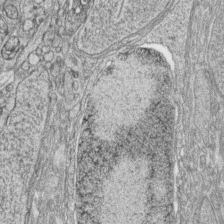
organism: Zebrafish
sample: synaptic ribbons in rod cells and cone cells